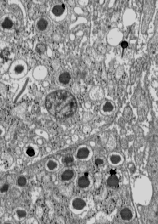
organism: C57BL Mouse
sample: Pancreatic islet